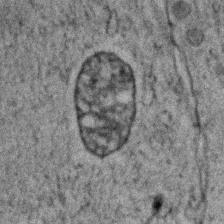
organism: Zebrafish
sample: Zebrafish embryo